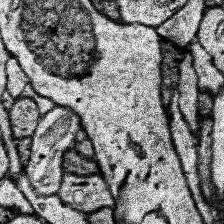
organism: Human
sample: Temporal Lobe